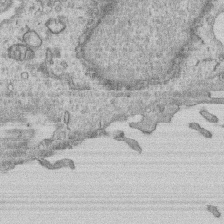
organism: Human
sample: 1205lu cells